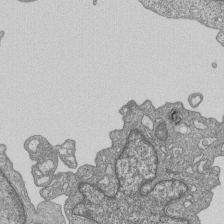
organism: Human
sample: MDA-MB-231 cells